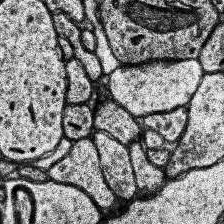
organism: Human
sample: Temporal Lobe